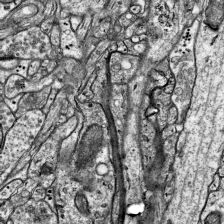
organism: Mouse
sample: Visual Cortex